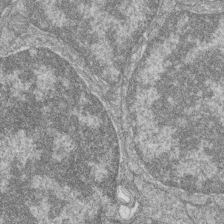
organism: Zebrafish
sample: Cilia; retinal pigment epithelium